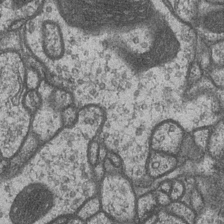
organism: Drosophila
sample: Optic medulla